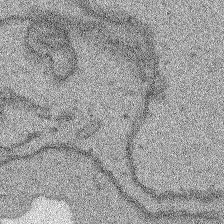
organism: Human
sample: HeLa cells